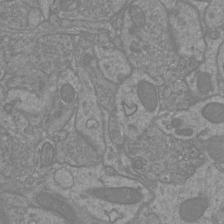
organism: Mouse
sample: Cortical neurons